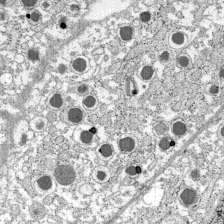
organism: C57BL Mouse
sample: Pancreatic islet